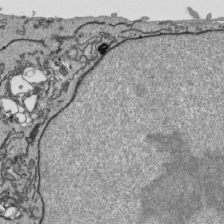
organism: Human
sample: Mitochondria in HCT116 cells